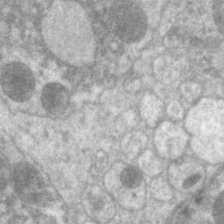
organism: C. elegans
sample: Pharynx